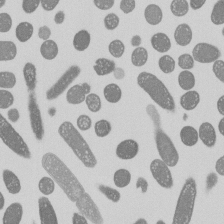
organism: E. coli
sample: Bacterial nucleoid